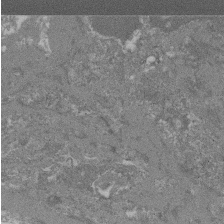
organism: Mouse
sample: Glomerulus